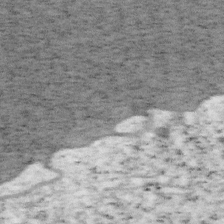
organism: Mouse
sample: OT-I killer T cells with ID8 ovarian cancer cells